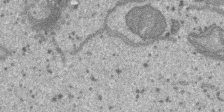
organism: Human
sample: Lung epithelial cells infected with SARS-CoV-2